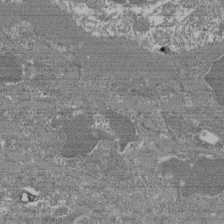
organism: Mouse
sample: Glomerulus